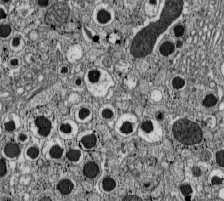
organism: C57BL Mouse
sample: Pancreatic islet